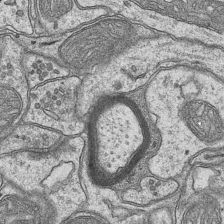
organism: Mouse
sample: CA1 Hippocampus